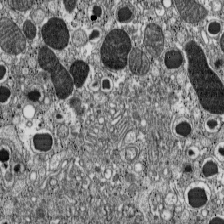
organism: C57BL Mouse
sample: Pancreatic islet